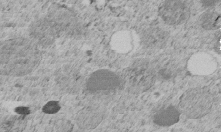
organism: C. elegans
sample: C. elegans embryo early stage